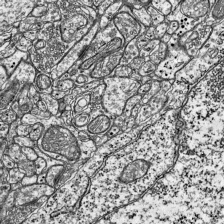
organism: Mouse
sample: Visual Cortex